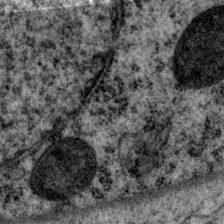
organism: P. pacificus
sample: Pharynx